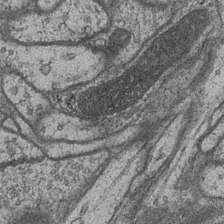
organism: Drosophila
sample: Optic medulla